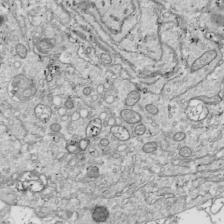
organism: Drosophila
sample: Cell division; meiosis; drosophila spermatocytes